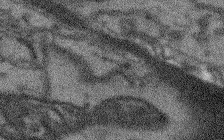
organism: Arabidopsis thaliana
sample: Root tip